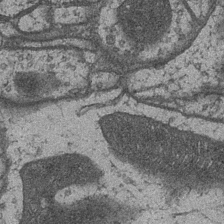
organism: Drosophila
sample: Optic medulla